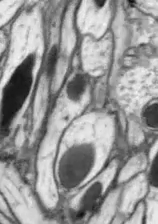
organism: Drosophila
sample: Optic lobe